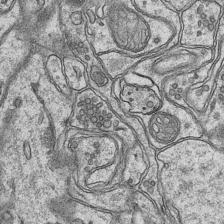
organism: Mouse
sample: CA1 Hippocampus